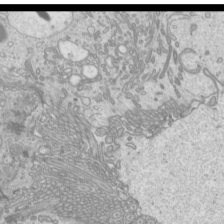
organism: Mouse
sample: Cilia; mouse epididymis